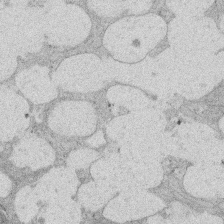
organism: Rat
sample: Salivary granule